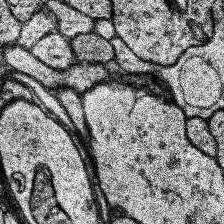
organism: Human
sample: Temporal Lobe